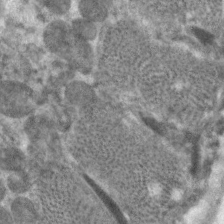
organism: C. elegans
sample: Pharynx